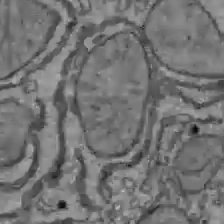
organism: C57BL Mouse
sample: Liver